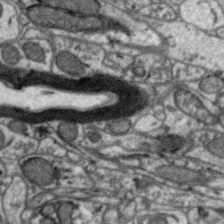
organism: Zebra finch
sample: Brain